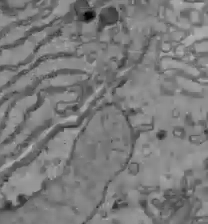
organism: C57BL Mouse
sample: Liver